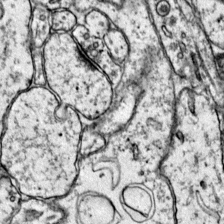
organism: Mouse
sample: Primary visual cortex